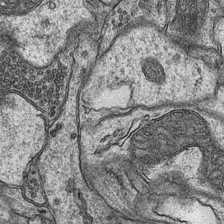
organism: Mouse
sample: CA1 Hippocampus